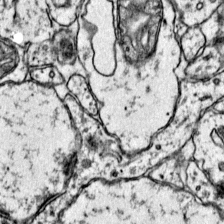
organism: Mouse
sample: Primary visual cortex